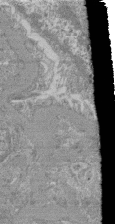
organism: Mouse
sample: Glomerulus